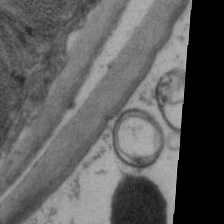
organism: C. elegans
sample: Pharynx